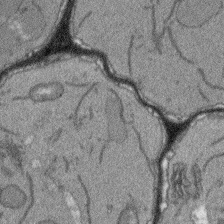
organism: Arabidopsis thaliana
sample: Root tip